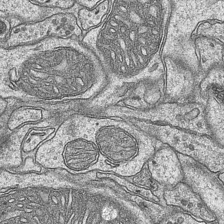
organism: Mouse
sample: CA1 Hippocampus